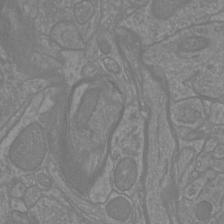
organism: Mouse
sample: Cortical neurons